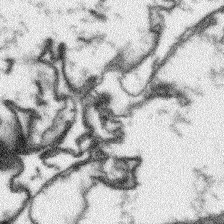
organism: Arabidopsis thaliana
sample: Root tip